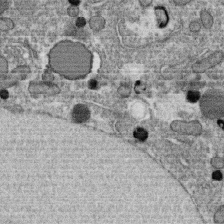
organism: C. elegans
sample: C. elegans oocyte; sperm cells